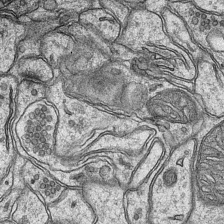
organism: Mouse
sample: CA1 Hippocampus